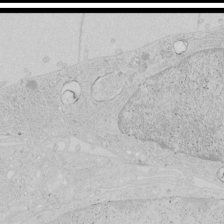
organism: Human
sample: Mitochondria in HCT116 cells